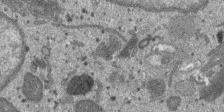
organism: Human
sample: Lung epithelial cells infected with SARS-CoV-2